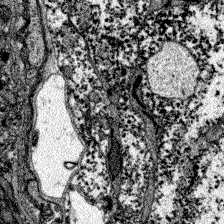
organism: Zebrafish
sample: Larval olfactory bulb